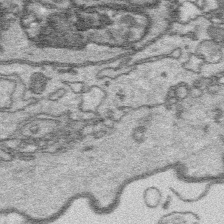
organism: Platynereis dumerilii